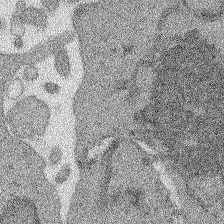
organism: Human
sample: HeLa cells